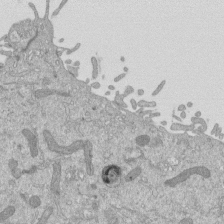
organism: Mouse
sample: ED-1 cell nuclei; centrioles